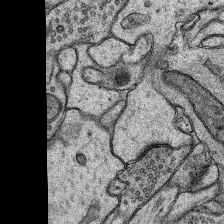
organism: Rat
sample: Hippocampus